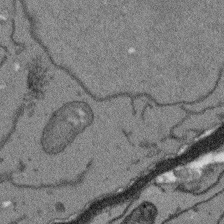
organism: Arabidopsis thaliana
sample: Root tip